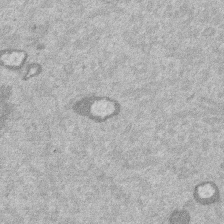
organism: Mouse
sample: Dividing mouse embryo 1 cell stage